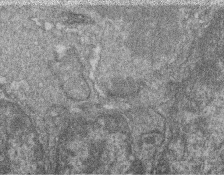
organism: Zebrafish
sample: Cilia; retinal pigment epithelium